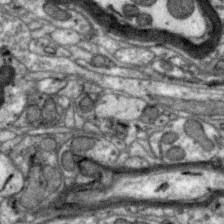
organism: Zebra finch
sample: Brain